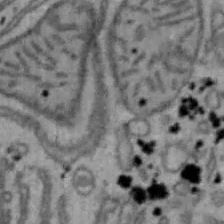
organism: Mouse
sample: Liver